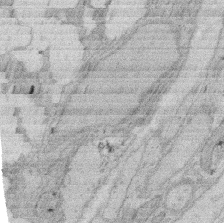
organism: Rat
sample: Salivary granule